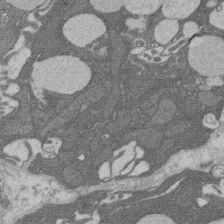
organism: Rat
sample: Salivary granule